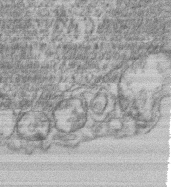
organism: Mouse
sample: T cell stromal cell synapse